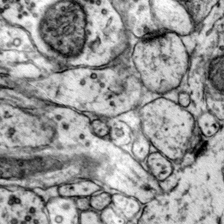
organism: Mouse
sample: Primary visual cortex